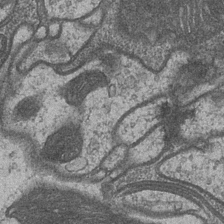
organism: Drosophila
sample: Optic medulla